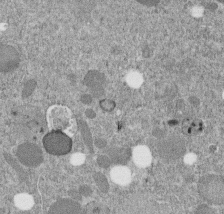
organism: C. elegans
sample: C. elegans embryo early stage